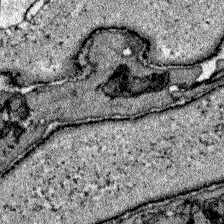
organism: Zebrafish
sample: Larval olfactory bulb